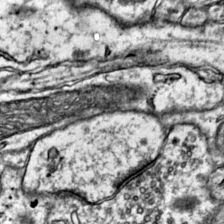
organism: Mouse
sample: Primary visual cortex